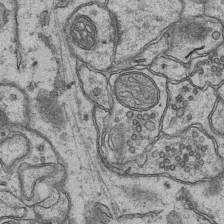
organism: Mouse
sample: CA1 Hippocampus